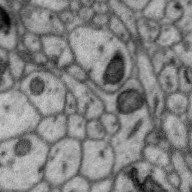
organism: Zebra finch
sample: Brain